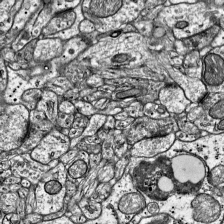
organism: Mouse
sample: Visual Cortex